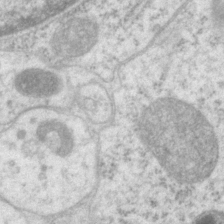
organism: P. pacificus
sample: Pharynx